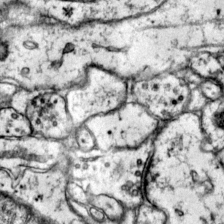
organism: Mouse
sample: Primary visual cortex